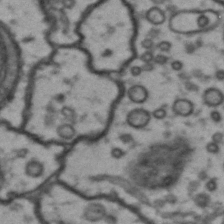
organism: Drosophila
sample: Brain